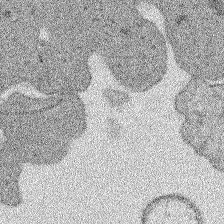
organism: Human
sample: HeLa cells